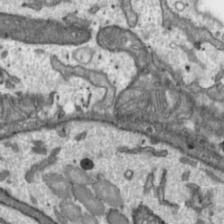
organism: Toxoplasma gondii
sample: Parasites in a vacuole inside a host cell